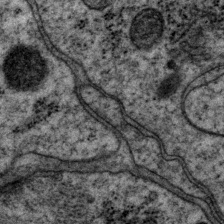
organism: P. pacificus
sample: Pharynx